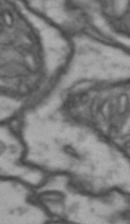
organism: Drosophila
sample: Brain